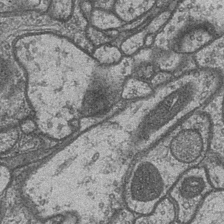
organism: Drosophila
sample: Optic medulla